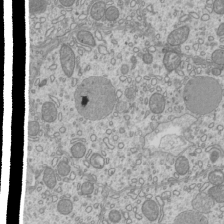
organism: Mouse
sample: Cilia; mouse epididymis